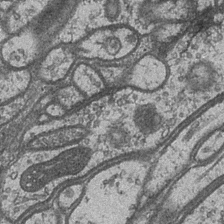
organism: Drosophila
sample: Optic medulla